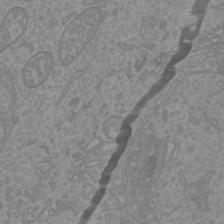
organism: Mouse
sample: Cortical neurons